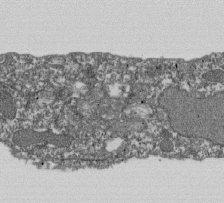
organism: Dictyostelium discoideum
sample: Dictyostelium multivesicular bodies